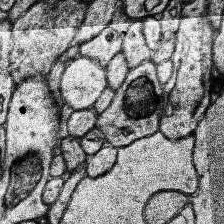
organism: Human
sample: Temporal Lobe